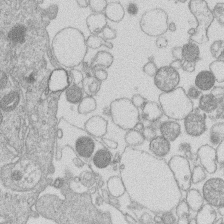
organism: Human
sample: Macrophage cells